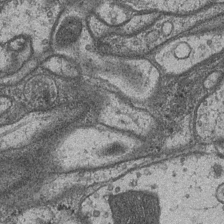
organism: Drosophila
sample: Optic medulla